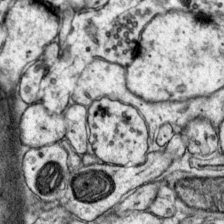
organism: Mouse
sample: Primary visual cortex